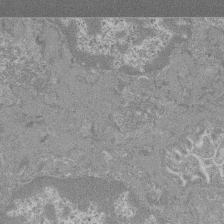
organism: Mouse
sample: Glomerulus